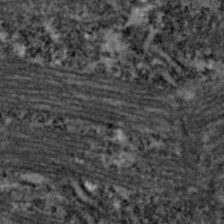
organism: Zebrafish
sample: Zebrafish embryo